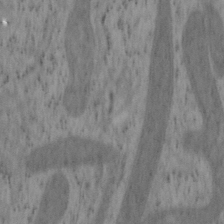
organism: Mouse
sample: OT-I killer T cells with ID8 ovarian cancer cells